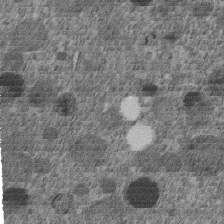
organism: C. elegans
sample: C. elegans embryo early stage